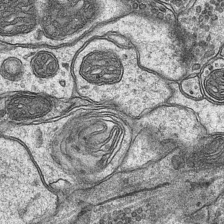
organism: Mouse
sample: CA1 Hippocampus